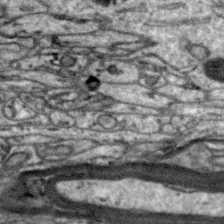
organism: Zebra finch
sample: Brain